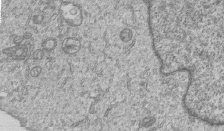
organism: Human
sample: MDA-MB-231 cells